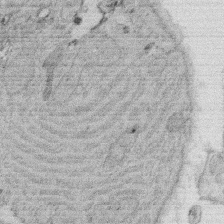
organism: Rat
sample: Salivary granule